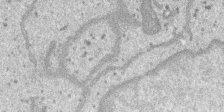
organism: Human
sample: Lung epithelial cells infected with SARS-CoV-2